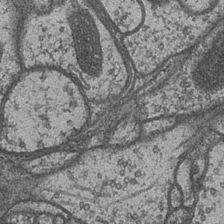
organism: Drosophila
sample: Optic medulla